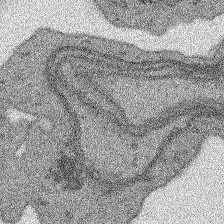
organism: Human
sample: HeLa cells